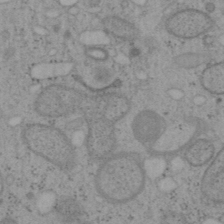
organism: Mouse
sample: OT-I killer T cells with ID8 ovarian cancer cells